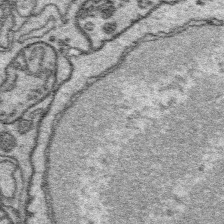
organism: Platynereis dumerilii